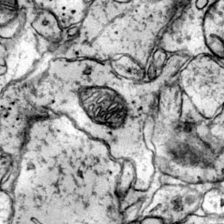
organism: Mouse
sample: Primary visual cortex